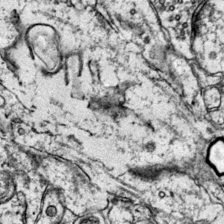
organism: Mouse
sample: Primary visual cortex